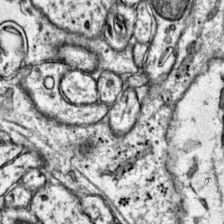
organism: Mouse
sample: Primary visual cortex